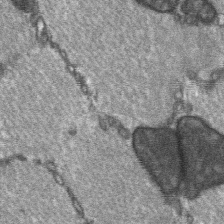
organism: C57BL Mouse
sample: Soleus